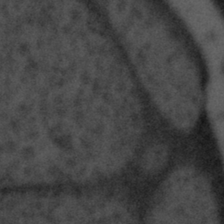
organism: Tuwongella immobilis